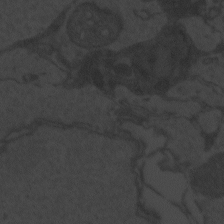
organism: Zebrafish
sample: Macrophage infected with Toxoplasma gondii